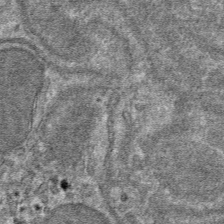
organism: Mouse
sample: Mouse hepatocytes